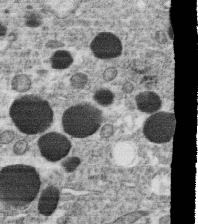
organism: C. elegans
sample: C. elegans oocyte; sperm cells